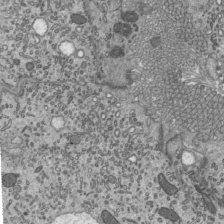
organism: Mouse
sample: Mouse epididymis efferent ductule cilia